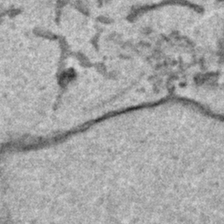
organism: Human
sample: Mitochondria in HCT116 cells